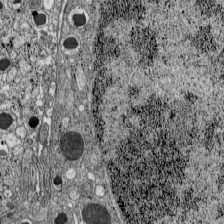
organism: C57BL Mouse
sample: Pancreatic islet